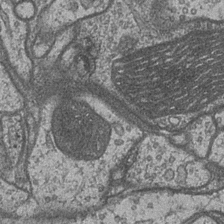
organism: Drosophila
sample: Optic medulla